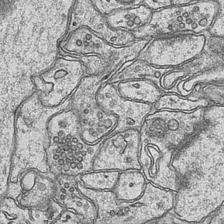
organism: Mouse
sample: CA1 Hippocampus